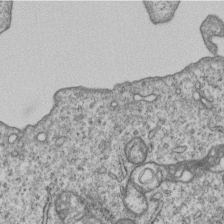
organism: Human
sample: MDA-MB-231 cells